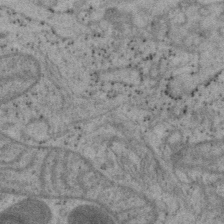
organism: Human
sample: HeLa cells